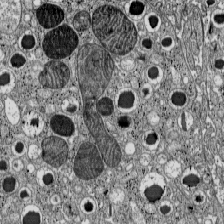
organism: C57BL Mouse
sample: Pancreatic islet